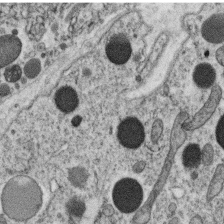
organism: C. elegans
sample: C. elegans oocyte; sperm cells